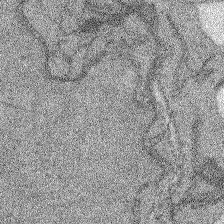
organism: Human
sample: HeLa cells